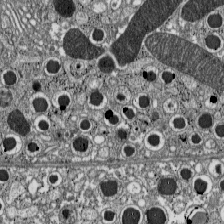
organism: C57BL Mouse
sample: Pancreatic islet